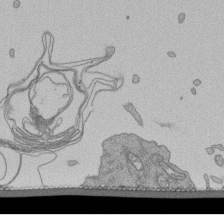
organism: Human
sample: Retinal organoid Rod and Cone cells